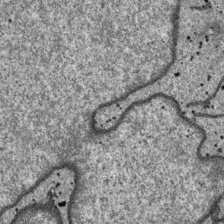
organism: Human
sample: Lung epithelial cells, uninfected (mock) control